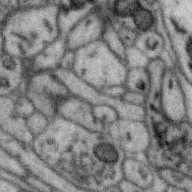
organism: Zebra finch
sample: Brain